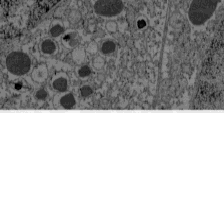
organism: C57BL Mouse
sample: Pancreatic islet